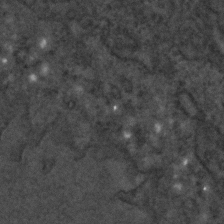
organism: C. elegans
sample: C. elegans embryo